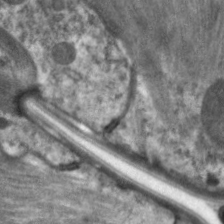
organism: C. elegans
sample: Pharynx